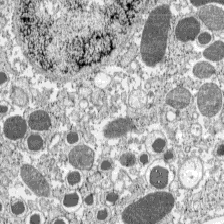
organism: C57BL Mouse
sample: Pancreatic islet